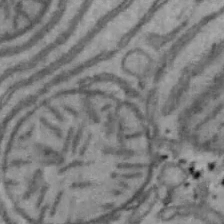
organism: Mouse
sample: Liver